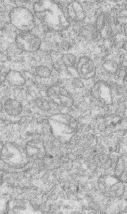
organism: Human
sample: HeLa cell HIV synapse